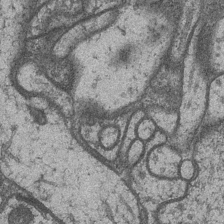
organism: Drosophila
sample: Optic medulla